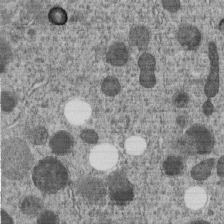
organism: C. elegans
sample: C. elegans embryo early stage